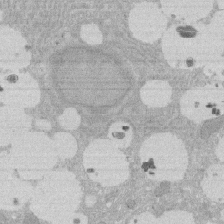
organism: Rat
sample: Salivary granule